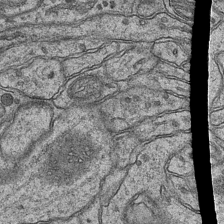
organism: Mouse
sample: CA1 Hippocampus